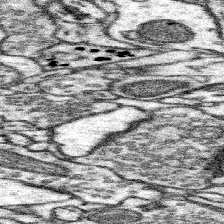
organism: Mouse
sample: Somatosensory cortex neuropil